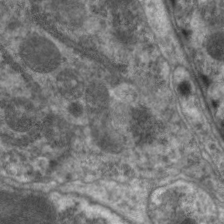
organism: C. elegans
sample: Pharynx